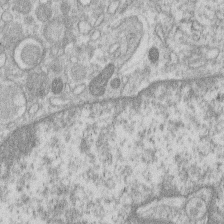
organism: Human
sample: Macrophage cells